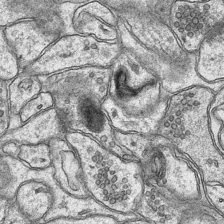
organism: Mouse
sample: CA1 Hippocampus